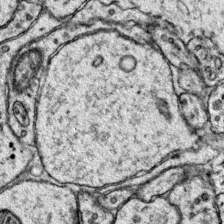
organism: Mouse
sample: Primary visual cortex